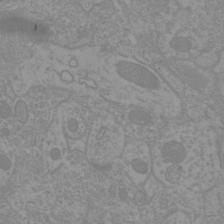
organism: Mouse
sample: Cortical neurons